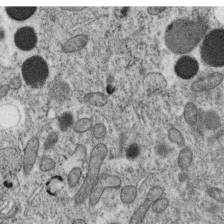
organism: C. elegans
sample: C. elegans oocyte; sperm cells